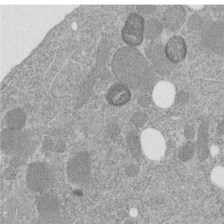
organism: C. elegans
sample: C. elegans embryo early stage